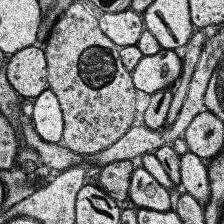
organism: Human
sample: Temporal Lobe